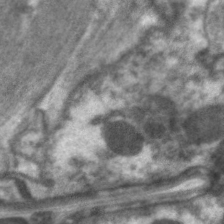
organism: C. elegans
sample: Pharynx